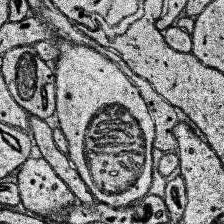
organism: Human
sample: Temporal Lobe